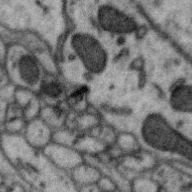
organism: Zebra finch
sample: Brain